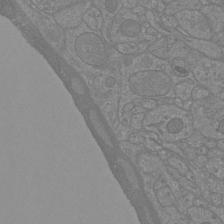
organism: Mouse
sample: Cortical neurons